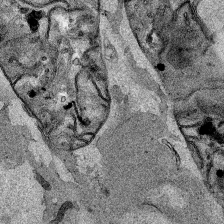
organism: Human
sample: Mitochondria in HCT116 cells